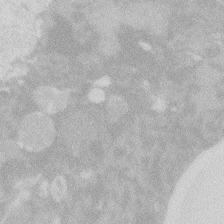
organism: Zebrafish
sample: Macrophage